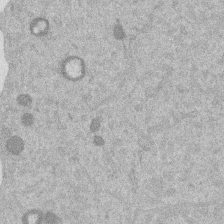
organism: Mouse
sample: Dividing mouse embryo 1 cell stage